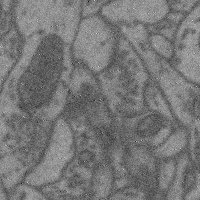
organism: Mouse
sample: Cerebral cortex